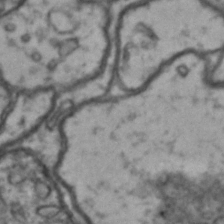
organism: Drosophila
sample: Brain